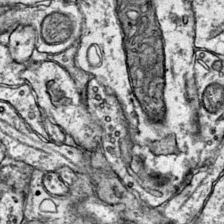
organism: Mouse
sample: Primary visual cortex